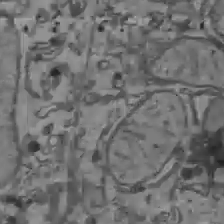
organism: C57BL Mouse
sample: Liver